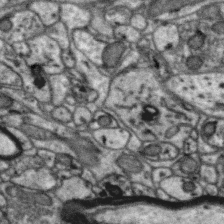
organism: Zebra finch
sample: Brain